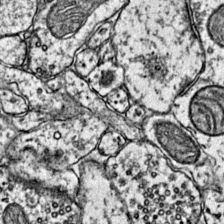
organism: Mouse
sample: Primary visual cortex